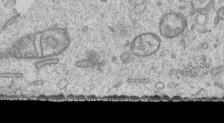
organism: Human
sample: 1205lu cells